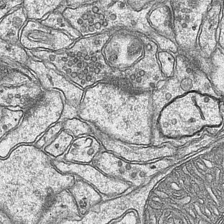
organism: Mouse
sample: CA1 Hippocampus